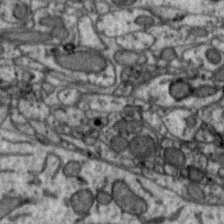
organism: Zebra finch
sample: Brain